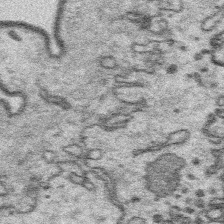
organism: Platynereis dumerilii